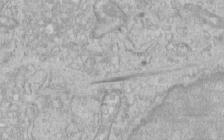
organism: Human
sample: Centriole in RPE cells